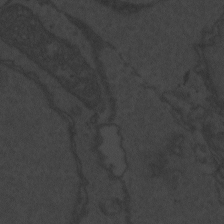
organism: Zebrafish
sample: Macrophage infected with Toxoplasma gondii